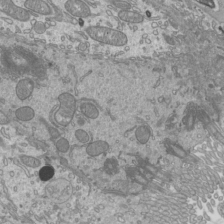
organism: Mouse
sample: Cilia; mouse epididymis